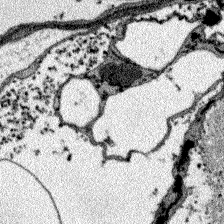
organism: Zebrafish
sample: Larval olfactory bulb